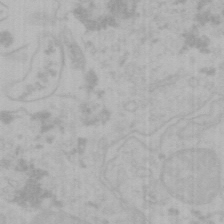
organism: Mouse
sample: Choroid plexus